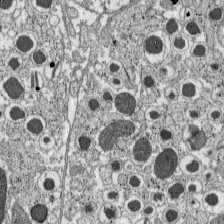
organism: C57BL Mouse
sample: Pancreatic islet